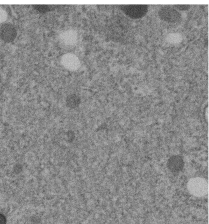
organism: C. elegans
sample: C. elegans embryo early stage